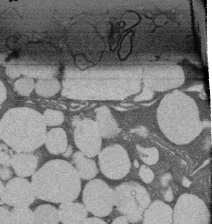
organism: Rat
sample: Salivary granule